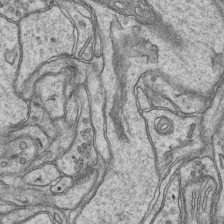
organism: Mouse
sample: CA1 Hippocampus